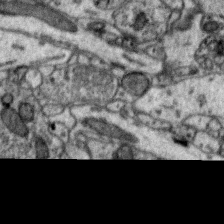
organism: Zebra finch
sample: Brain